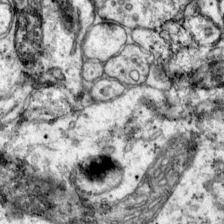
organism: Mouse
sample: Primary visual cortex